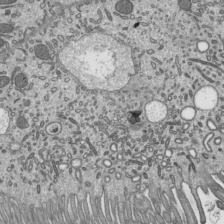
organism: Mouse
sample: Mouse epididymis efferent ductule cilia